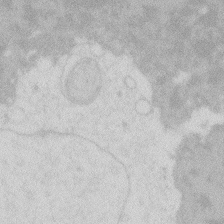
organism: Zebrafish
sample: Macrophage